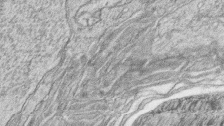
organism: Zebrafish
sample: synaptic ribbons in rod cells and cone cells